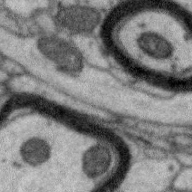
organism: Zebra finch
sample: Brain